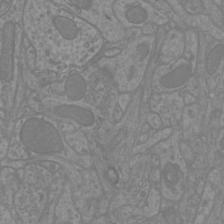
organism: Mouse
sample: Cortical neurons